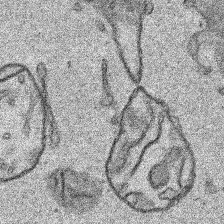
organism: Human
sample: Mitochondria in HCT116 cells